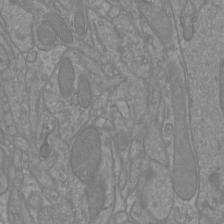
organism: Mouse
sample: Cortical neurons